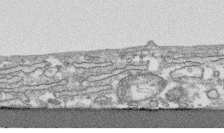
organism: Human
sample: CRL-1474